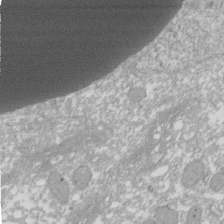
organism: Xenopus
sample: Cilia; centrioles in frog embryo cells